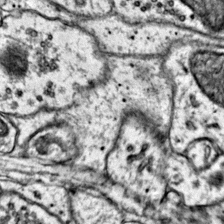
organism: Mouse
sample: Primary visual cortex